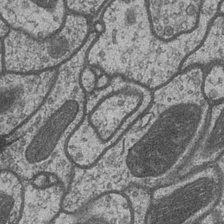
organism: Drosophila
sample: Optic medulla